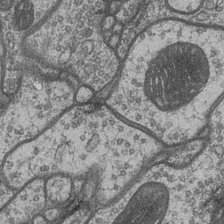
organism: Drosophila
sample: Optic medulla